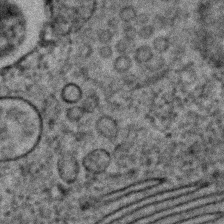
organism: C. elegans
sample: C. elegans embryo